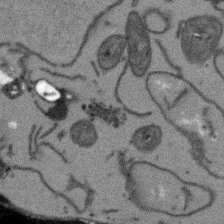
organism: Arabidopsis thaliana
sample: Root tip